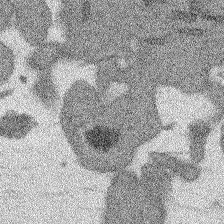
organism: Human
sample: HeLa cells